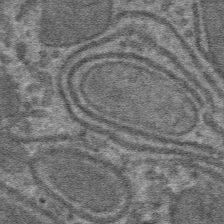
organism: Mouse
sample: Mouse hepatocytes